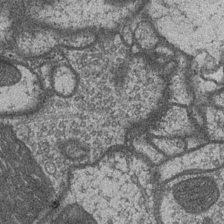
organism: Drosophila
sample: Optic medulla